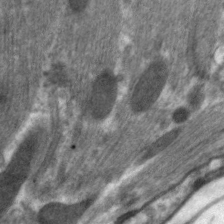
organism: C. elegans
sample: Pharynx